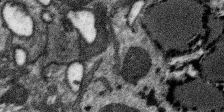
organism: Human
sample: Lung epithelial cells infected with SARS-CoV-2